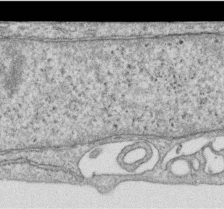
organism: Human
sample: Centriole in RPE cells